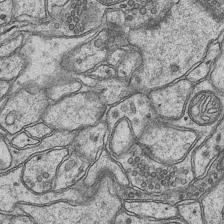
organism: Mouse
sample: CA1 Hippocampus